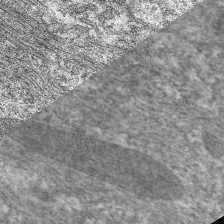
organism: C. elegans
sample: Pharynx